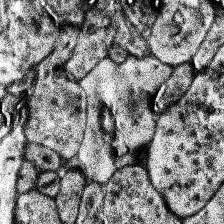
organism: Human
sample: Temporal Lobe